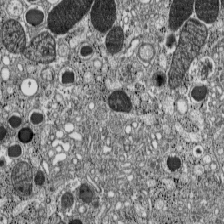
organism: C57BL Mouse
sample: Pancreatic islet